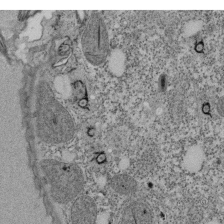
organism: Tetrahymena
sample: Cilia in tetrahymena